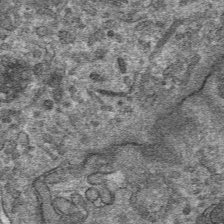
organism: Mouse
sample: Mouse hepatocytes